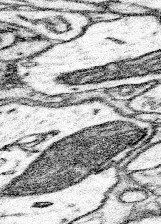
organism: Mouse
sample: Somatosensory cortex neuropil